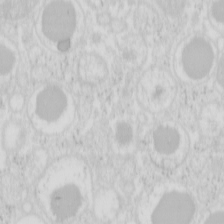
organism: Mouse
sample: Pancreas